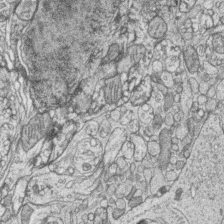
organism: Zebrafish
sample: synaptic ribbons in rod cells and cone cells